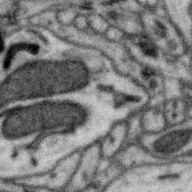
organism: Zebra finch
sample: Brain